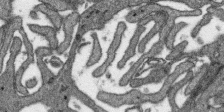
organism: Human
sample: Lung epithelial cells, uninfected (mock) control